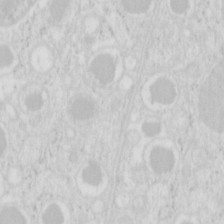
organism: Mouse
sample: Pancreas